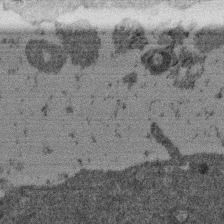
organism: Mouse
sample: Dividing mouse embryo 1 cell stage